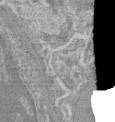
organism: Mouse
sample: Glomerulus